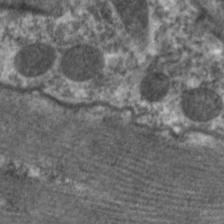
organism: C. elegans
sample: Pharynx